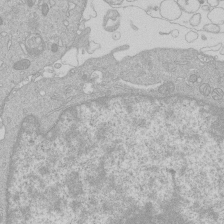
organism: Human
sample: Macrophage cells